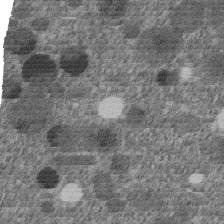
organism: C. elegans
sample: C. elegans embryo early stage